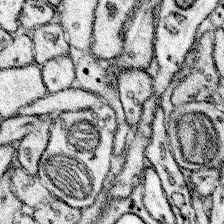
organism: Mouse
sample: Somatosensory cortex neuropil